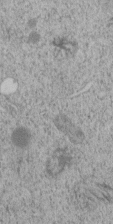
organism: C. elegans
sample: C. elegans embryo early stage